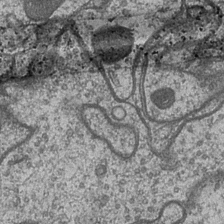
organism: Drosophila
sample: Optic medulla